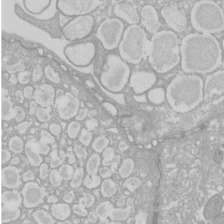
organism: Xenopus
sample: Cilia; centrioles in frog embryo cells